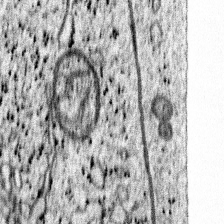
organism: Human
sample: HeLa cells